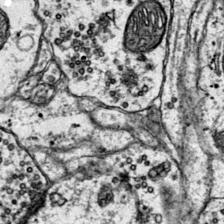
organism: Mouse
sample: Primary visual cortex